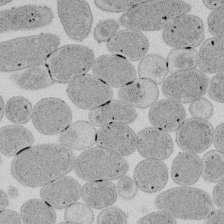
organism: E. coli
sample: Bacterial nucleoid